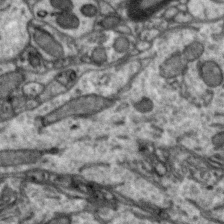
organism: Zebra finch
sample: Brain